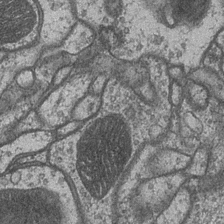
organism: Drosophila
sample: Optic medulla